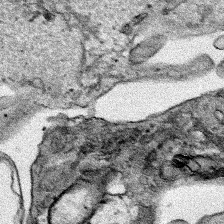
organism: Human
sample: Mitochondria in HCT116 cells